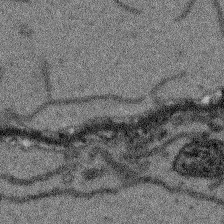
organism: Arabidopsis thaliana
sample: Root tip